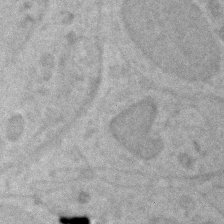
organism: Zebrafish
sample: Zebrafish embryo